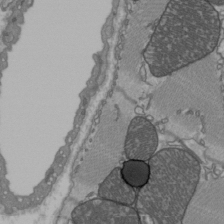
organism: C57BL Mouse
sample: Heart